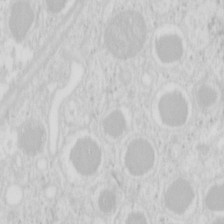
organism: Mouse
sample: Pancreas